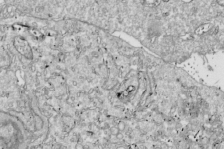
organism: Drosophila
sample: Cell division; meiosis; drosophila spermatocytes